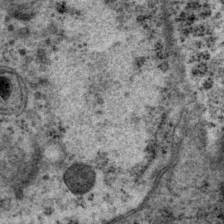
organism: P. pacificus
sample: Pharynx